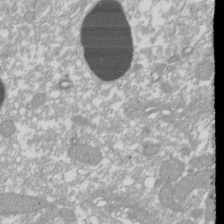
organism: Xenopus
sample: Cilia; centrioles in frog embryo cells